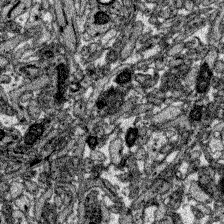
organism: Zebrafish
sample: Larval olfactory bulb